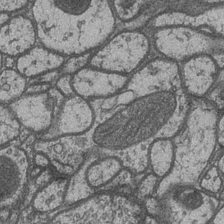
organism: Drosophila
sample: Optic medulla